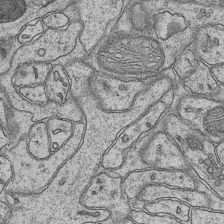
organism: Mouse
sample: CA1 Hippocampus